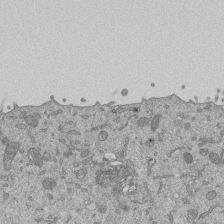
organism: Mouse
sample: ED-1 cell nuclei; centrioles